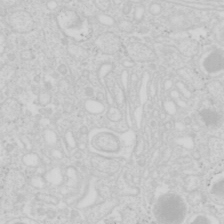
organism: Mouse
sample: Pancreas